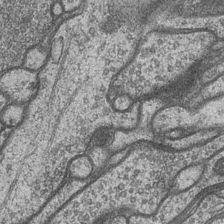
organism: Drosophila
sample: Optic medulla